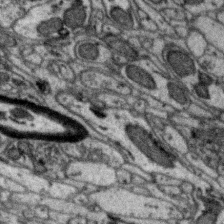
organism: Zebra finch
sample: Brain